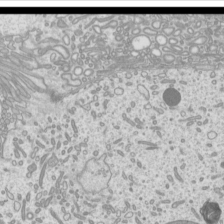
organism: Mouse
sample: Cilia; mouse epididymis